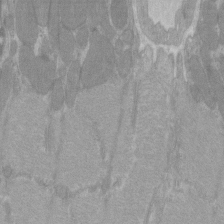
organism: C57BL Mouse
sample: Tibialis anterior muscle cell